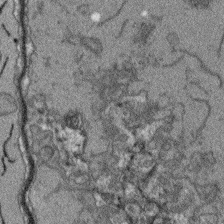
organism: Arabidopsis thaliana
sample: Root tip